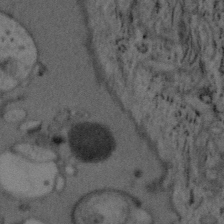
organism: Human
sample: HeLa cells